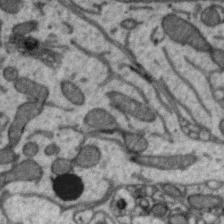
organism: Zebra finch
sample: Brain